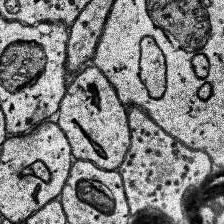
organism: Human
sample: Temporal Lobe